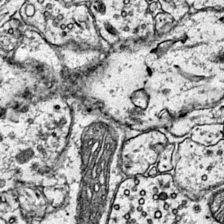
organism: Mouse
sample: Primary visual cortex